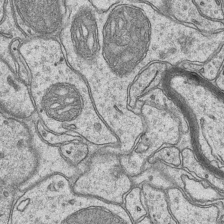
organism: Mouse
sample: CA1 Hippocampus